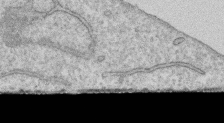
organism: Human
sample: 1205lu cells